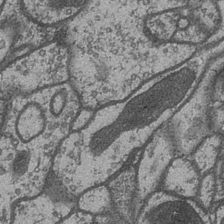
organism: Drosophila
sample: Optic medulla